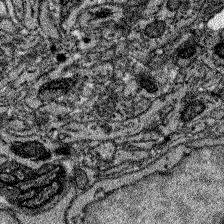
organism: Zebrafish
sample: Larval olfactory bulb